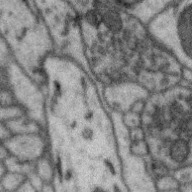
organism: Zebra finch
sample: Brain